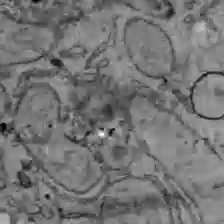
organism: C57BL Mouse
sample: Liver